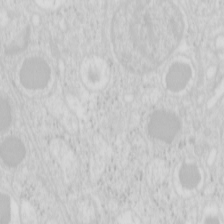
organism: Mouse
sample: Pancreas